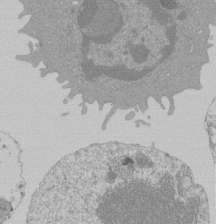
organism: Mouse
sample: Activated Pmel transgenic CD8+ T Cells